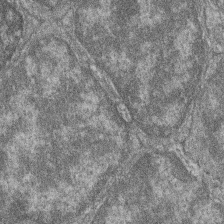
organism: Zebrafish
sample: Cilia; retinal pigment epithelium